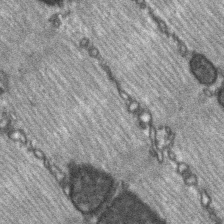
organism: C57BL Mouse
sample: Soleus